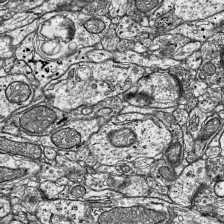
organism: Mouse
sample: Visual Cortex